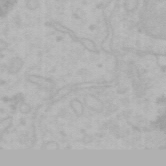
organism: Mouse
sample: Choroid plexus